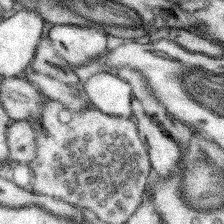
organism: Mouse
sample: Somatosensory cortex neuropil